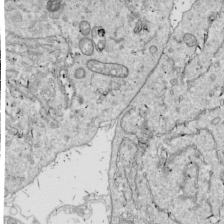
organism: Drosophila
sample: Cell division; meiosis; drosophila spermatocytes